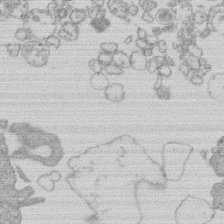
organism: Human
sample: Macrophage cells